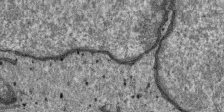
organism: Human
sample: Lung epithelial cells, uninfected (mock) control